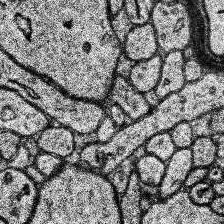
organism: Human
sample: Temporal Lobe